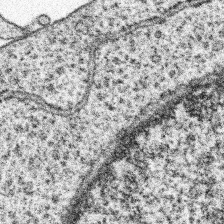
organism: Human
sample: HeLa cells